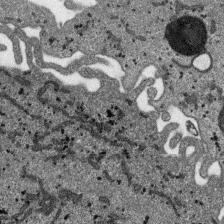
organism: Human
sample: Lung epithelial cells infected with SARS-CoV-2